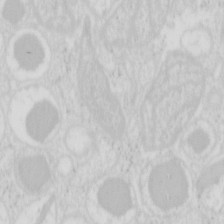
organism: Mouse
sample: Pancreas